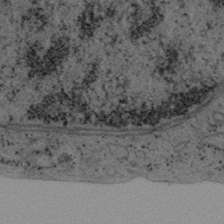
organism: Human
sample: HeLa cells